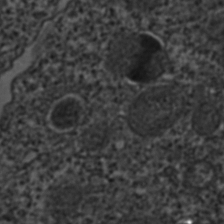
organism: C. elegans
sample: C. elegans embryo